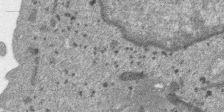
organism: Human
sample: Lung epithelial cells infected with SARS-CoV-2